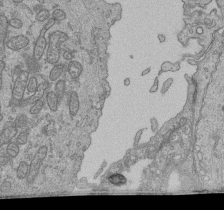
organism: Human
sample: Retinal organoid Rod and Cone cells